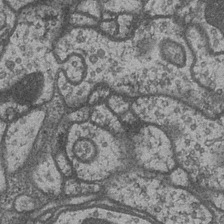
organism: Drosophila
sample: Optic medulla